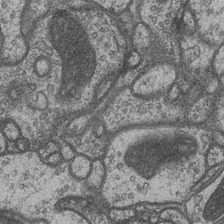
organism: Drosophila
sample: Optic medulla